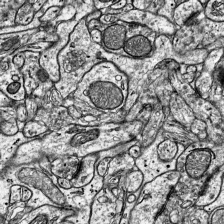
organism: Mouse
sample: Visual Cortex